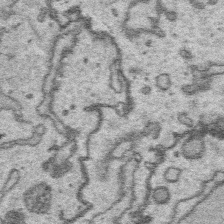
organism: Platynereis dumerilii